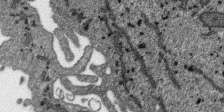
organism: Human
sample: Lung epithelial cells infected with SARS-CoV-2